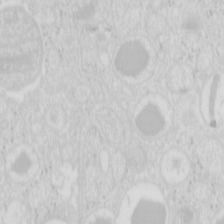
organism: Mouse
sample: Pancreas